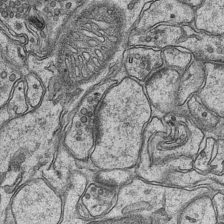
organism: Mouse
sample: CA1 Hippocampus